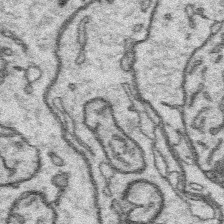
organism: Platynereis dumerilii